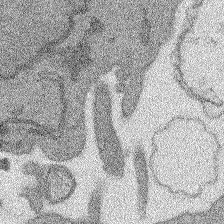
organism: Human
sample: HeLa cells